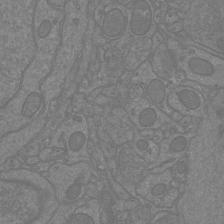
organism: Mouse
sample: Cortical neurons